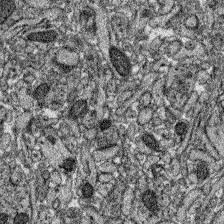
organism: Zebrafish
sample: Larval olfactory bulb